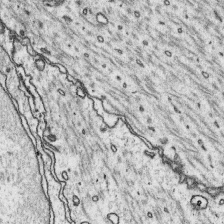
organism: Platynereis dumerilii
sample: Parapodia